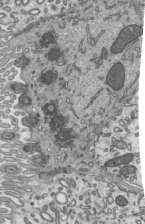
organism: Mouse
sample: Mouse epididymis efferent ductule cilia